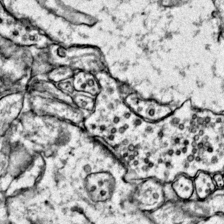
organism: Mouse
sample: Primary visual cortex